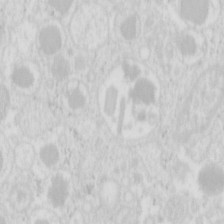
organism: Mouse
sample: Pancreas